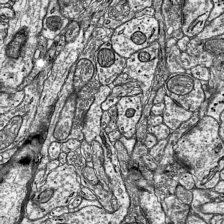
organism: Mouse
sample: Visual Cortex